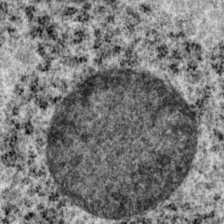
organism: P. pacificus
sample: Pharynx